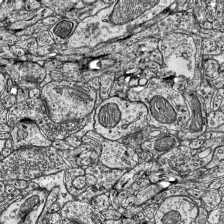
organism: Mouse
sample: Visual Cortex